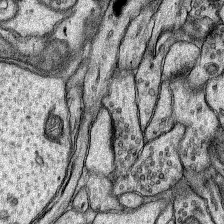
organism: Rat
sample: Hippocampus